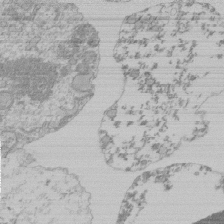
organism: Mouse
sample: Activated Pmel transgenic CD8+ T Cells